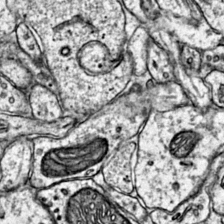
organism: Mouse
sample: Primary visual cortex